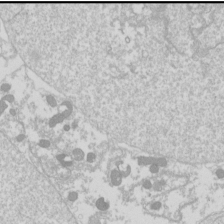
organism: Drosophila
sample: Cell division; meiosis; drosophila spermatocytes